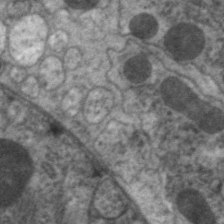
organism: C. elegans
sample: Pharynx